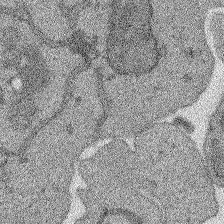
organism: Human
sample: HeLa cells